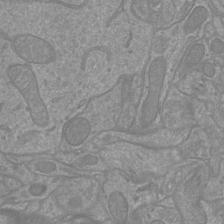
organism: Mouse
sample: Cortical neurons